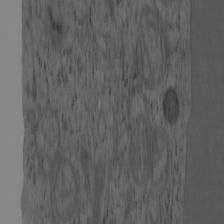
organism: Human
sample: HeLa cells